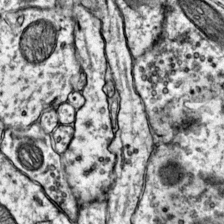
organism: Mouse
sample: Primary visual cortex